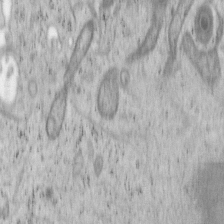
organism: Human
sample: HeLa cells